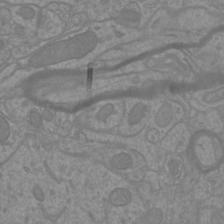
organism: Mouse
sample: Cortical neurons